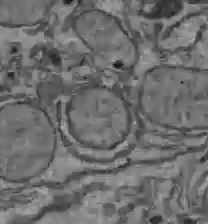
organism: C57BL Mouse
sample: Liver